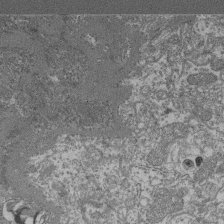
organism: Mouse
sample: Glomerulus